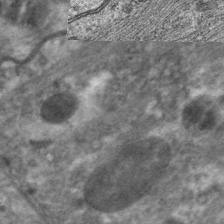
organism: C. elegans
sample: Pharynx